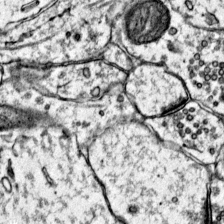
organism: Mouse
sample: Primary visual cortex